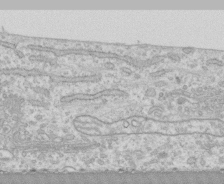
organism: Human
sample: CRL-1474